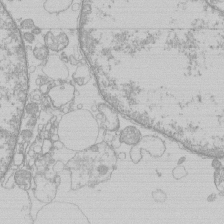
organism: Human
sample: Macrophage cells